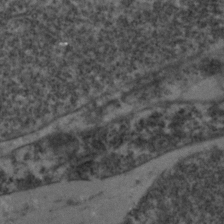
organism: Zebrafish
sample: Zebrafish embryo